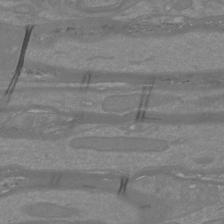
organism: Mouse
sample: Cortical neurons